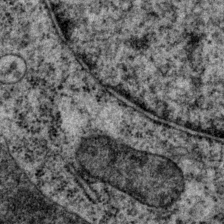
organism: P. pacificus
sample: Pharynx